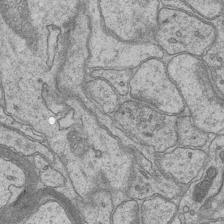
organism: Mouse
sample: CA1 Hippocampus